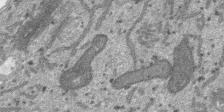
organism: Human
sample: Lung epithelial cells infected with SARS-CoV-2